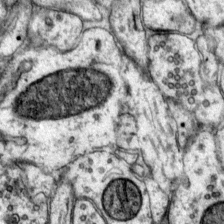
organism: Mouse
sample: Primary visual cortex